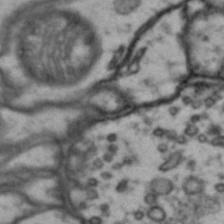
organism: Drosophila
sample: Brain